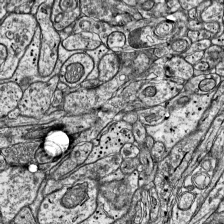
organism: Mouse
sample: Visual Cortex